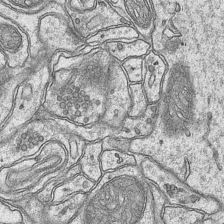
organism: Mouse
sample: CA1 Hippocampus